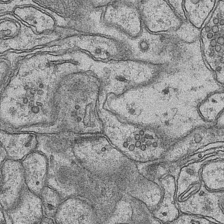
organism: Mouse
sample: CA1 Hippocampus